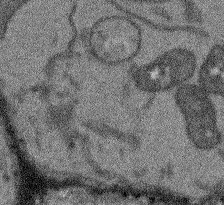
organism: Arabidopsis thaliana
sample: Root tip